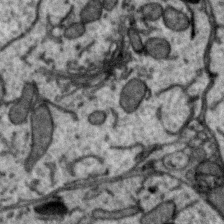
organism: Zebra finch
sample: Brain